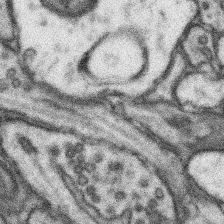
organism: Mouse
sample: Somatosensory cortex neuropil